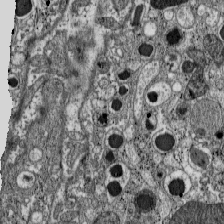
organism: C57BL Mouse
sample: Pancreatic islet